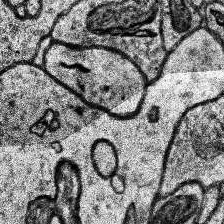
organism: Human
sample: Temporal Lobe